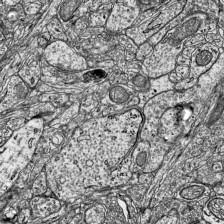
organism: Mouse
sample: Visual Cortex